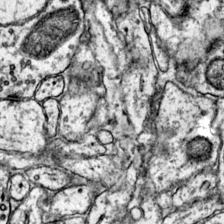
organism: Mouse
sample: Primary visual cortex